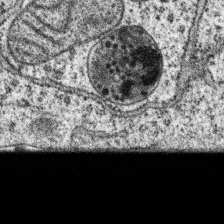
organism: Human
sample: HeLa cells